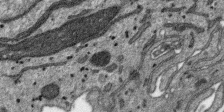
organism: Human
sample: Lung epithelial cells, uninfected (mock) control